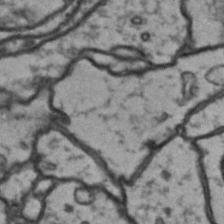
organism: Drosophila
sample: Brain